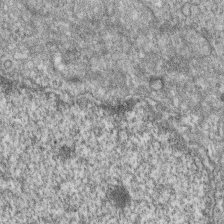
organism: Zebrafish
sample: Cilia; retinal pigment epithelium